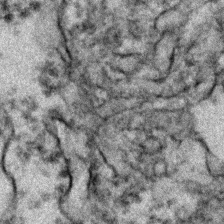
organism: Zebrafish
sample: Zebrafish embryo